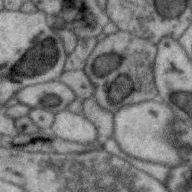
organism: Zebra finch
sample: Brain